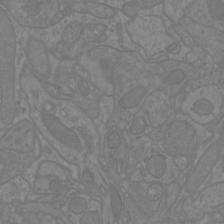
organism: Mouse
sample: Cortical neurons